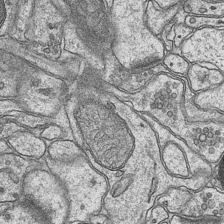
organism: Mouse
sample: CA1 Hippocampus